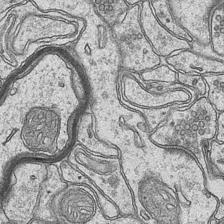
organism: Mouse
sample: CA1 Hippocampus